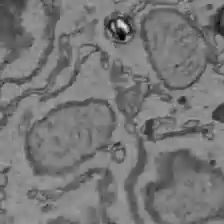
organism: C57BL Mouse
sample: Liver